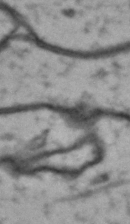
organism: Drosophila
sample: Brain